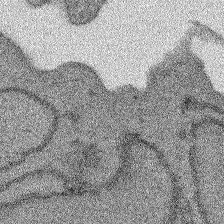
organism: Human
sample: HeLa cells